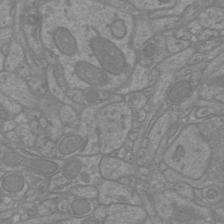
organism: Mouse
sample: Cortical neurons